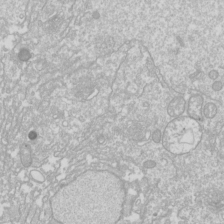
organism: Drosophila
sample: Cell division; meiosis; drosophila spermatocytes